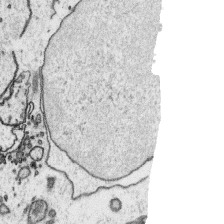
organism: Platynereis dumerilii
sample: Parapodia